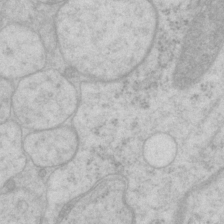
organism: P. pacificus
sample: Pharynx